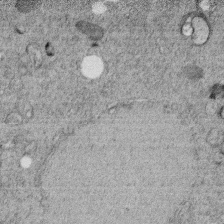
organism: C. elegans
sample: C. elegans embryo early stage